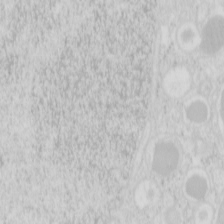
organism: Mouse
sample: Pancreas